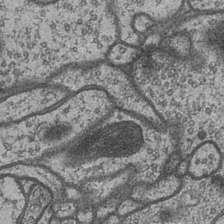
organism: Drosophila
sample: Optic medulla